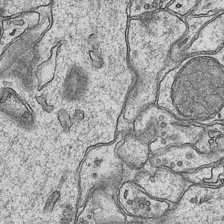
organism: Mouse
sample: CA1 Hippocampus